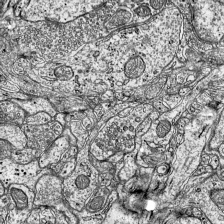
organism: Mouse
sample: Visual Cortex